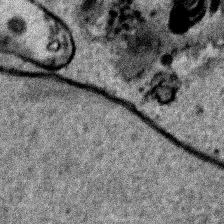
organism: Human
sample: Mitochondria in HCT116 cells